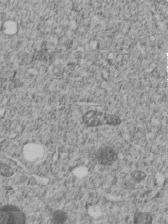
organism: C. elegans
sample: C. elegans embryo early stage